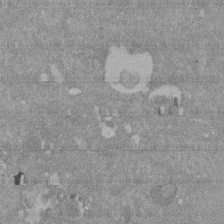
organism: Mouse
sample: ED-1 cell nuclei; centrioles